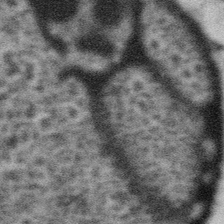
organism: Gemmata obscuriglobus